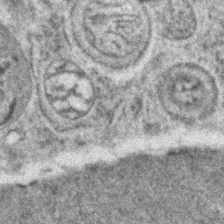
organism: Zebrafish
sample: Zebrafish embryo